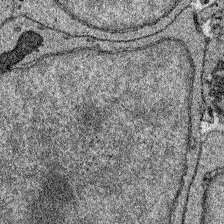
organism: Zebrafish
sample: Larval olfactory bulb